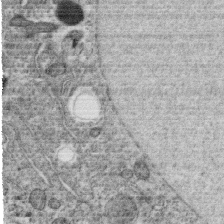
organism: C. elegans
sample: C. elegans oocyte; sperm cells